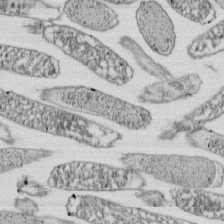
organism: E. coli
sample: Bacterial nucleoid